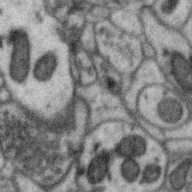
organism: Zebra finch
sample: Brain